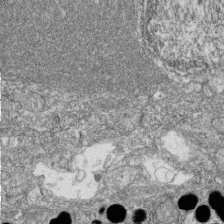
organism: Zebrafish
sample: Cilia; retinal pigment epithelium